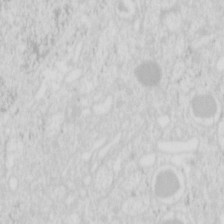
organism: Mouse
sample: Pancreas